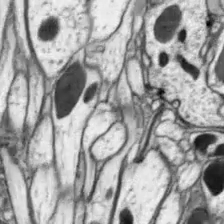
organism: Drosophila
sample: Optic lobe